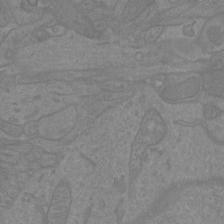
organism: Mouse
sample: Cortical neurons